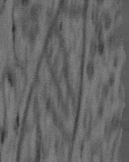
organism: Human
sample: HeLa cells